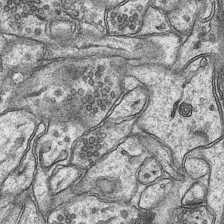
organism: Mouse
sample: CA1 Hippocampus